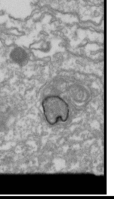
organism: Drosophila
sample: Cell division; meiosis; drosophila spermatocytes